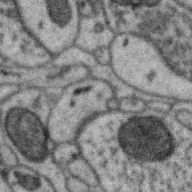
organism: Zebra finch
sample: Brain